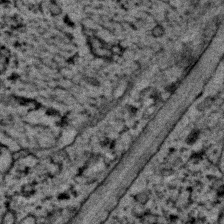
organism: C. elegans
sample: C. elegans embryo